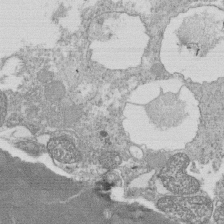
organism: Tetrahymena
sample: Cilia in tetrahymena